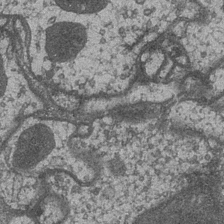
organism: Drosophila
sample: Optic medulla